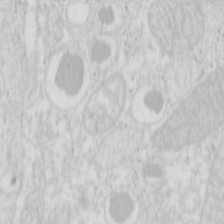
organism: Mouse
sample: Pancreas